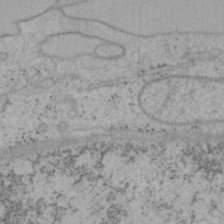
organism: Human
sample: HeLa cells